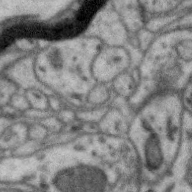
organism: Zebra finch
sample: Brain